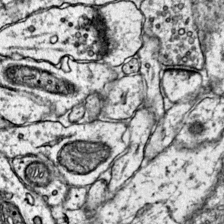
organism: Mouse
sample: Primary visual cortex